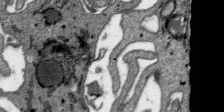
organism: Human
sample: Lung epithelial cells, uninfected (mock) control